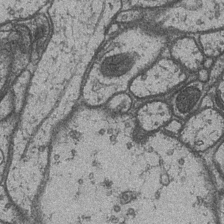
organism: Drosophila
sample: Optic medulla